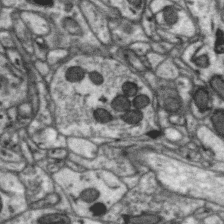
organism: Zebra finch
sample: Brain